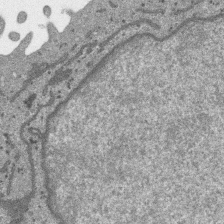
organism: Human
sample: Lung epithelial cells infected with SARS-CoV-2